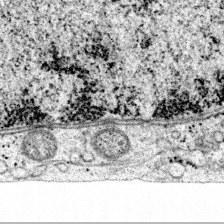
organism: Human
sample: HeLa cells